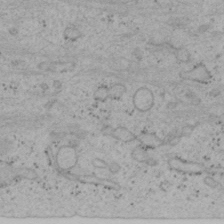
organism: Human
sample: HeLa cells